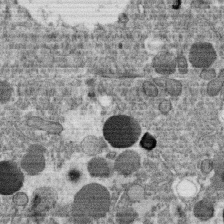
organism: C. elegans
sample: C. elegans oocyte; sperm cells